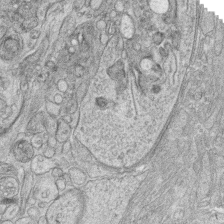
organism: Zebrafish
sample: synaptic ribbons in rod cells and cone cells